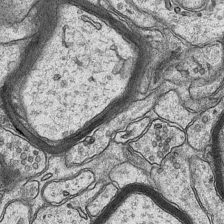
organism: Mouse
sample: CA1 Hippocampus